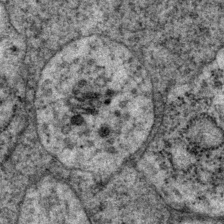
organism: P. pacificus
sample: Pharynx